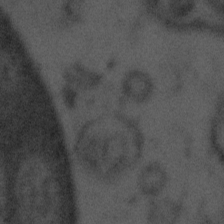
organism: Tuwongella immobilis